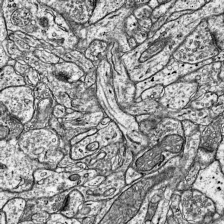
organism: Mouse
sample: Visual Cortex